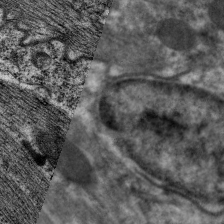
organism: C. elegans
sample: Pharynx